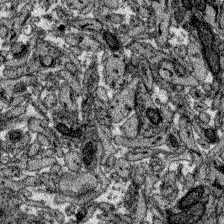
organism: Zebrafish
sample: Larval olfactory bulb